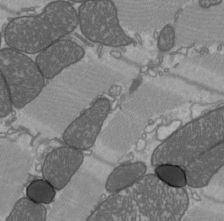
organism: C57BL Mouse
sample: Heart